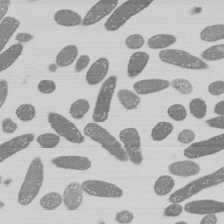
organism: E. coli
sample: Bacterial nucleoid